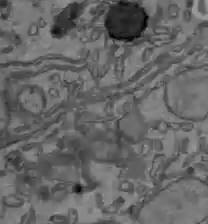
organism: C57BL Mouse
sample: Liver